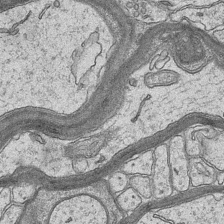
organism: Mouse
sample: CA1 Hippocampus